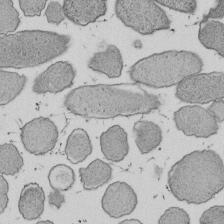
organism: E. coli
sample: Bacterial nucleoid